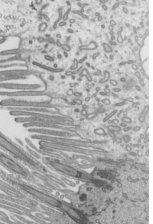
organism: Mouse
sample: Mouse epididymis efferent ductule cilia